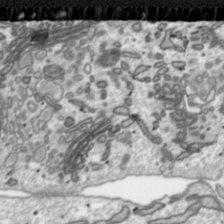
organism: Toxoplasma gondii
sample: Parasites in a vacuole inside a host cell